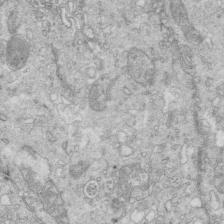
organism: Mouse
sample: Multiciliated cells